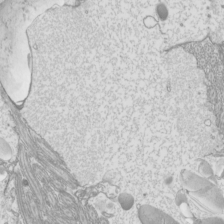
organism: Mouse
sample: Cilia; mouse epididymis